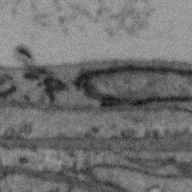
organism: Zebra finch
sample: Brain